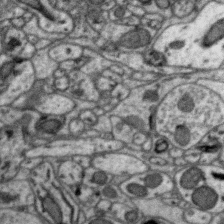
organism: Zebra finch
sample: Brain